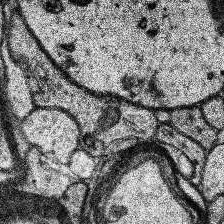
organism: Human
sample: Temporal Lobe